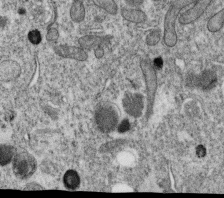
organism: C. elegans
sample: C. elegans oocyte; sperm cells